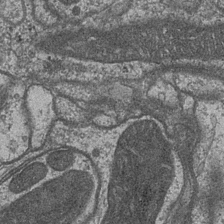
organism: Drosophila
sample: Optic medulla